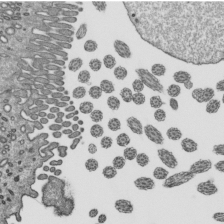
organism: Mouse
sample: Mouse epididymis efferent ductule cilia